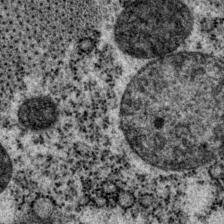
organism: P. pacificus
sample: Pharynx